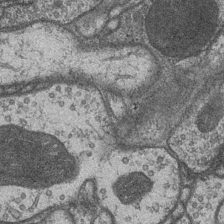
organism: Drosophila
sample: Optic medulla